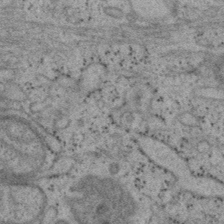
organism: Human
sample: HeLa cells